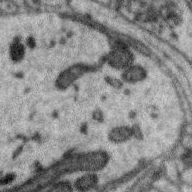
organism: Zebra finch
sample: Brain